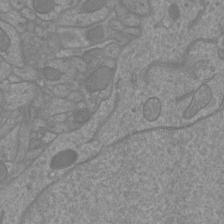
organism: Mouse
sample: Cortical neurons